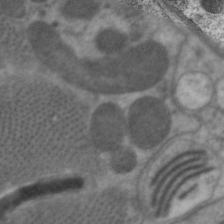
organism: C. elegans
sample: Pharynx